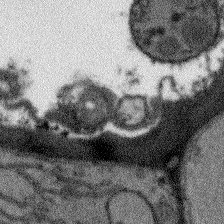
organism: Arabidopsis thaliana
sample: Root tip